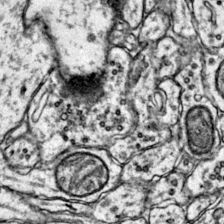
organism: Mouse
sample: Primary visual cortex